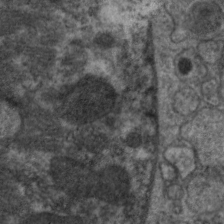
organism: C. elegans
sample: Pharynx